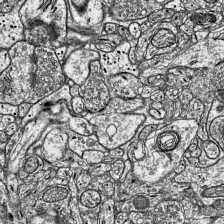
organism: Mouse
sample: Visual Cortex